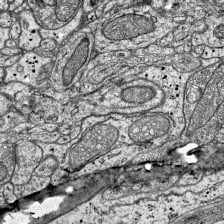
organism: Mouse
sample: Visual Cortex